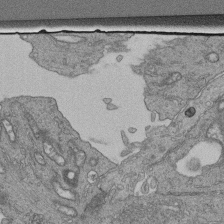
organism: Human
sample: Retinal organoid Rod and Cone cells